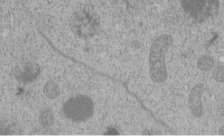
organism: C. elegans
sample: C. elegans embryo early stage